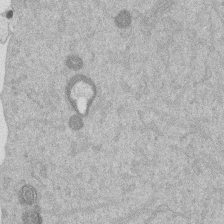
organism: Mouse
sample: Dividing mouse embryo 1 cell stage